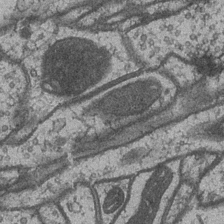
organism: Drosophila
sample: Optic medulla